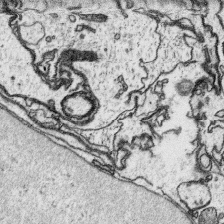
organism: Platynereis dumerilii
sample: Parapodia